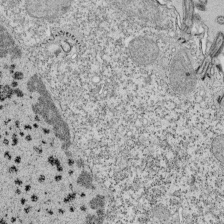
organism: Tetrahymena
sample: Cilia in tetrahymena